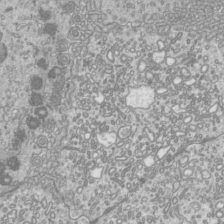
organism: Mouse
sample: Cilia; mouse epididymis